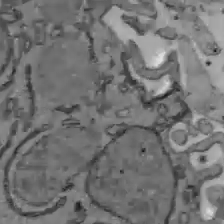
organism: C57BL Mouse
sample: Liver